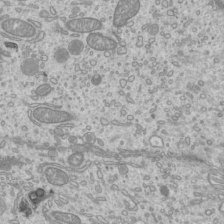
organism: Mouse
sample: Cilia; mouse epididymis